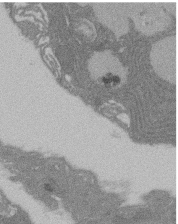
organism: Rat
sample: Salivary granule